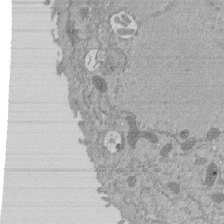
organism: Mouse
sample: ED-1 cell nuclei; centrioles